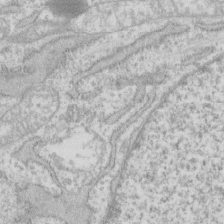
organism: Human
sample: Fibroblast cells